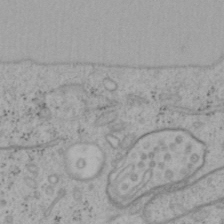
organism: Human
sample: HeLa cells